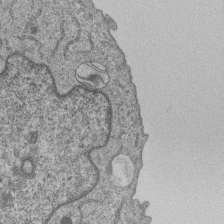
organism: Human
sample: MDA-MB-231 cells